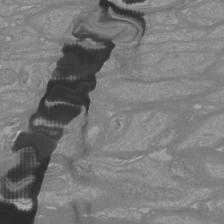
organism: Mouse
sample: Cortical neurons